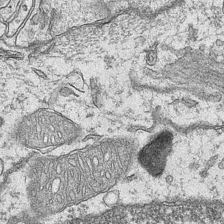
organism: Mouse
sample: CA1 Hippocampus